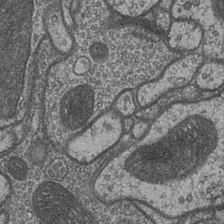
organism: Drosophila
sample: Optic medulla